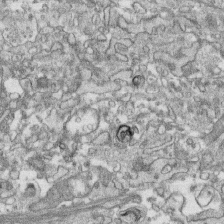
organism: Human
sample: CRL-1474